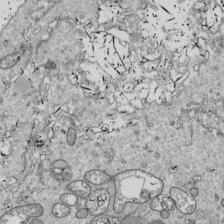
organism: Drosophila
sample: Cell division; meiosis; drosophila spermatocytes